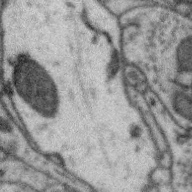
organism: Zebra finch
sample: Brain